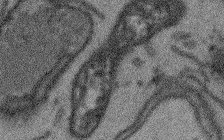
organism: Arabidopsis thaliana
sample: Root tip